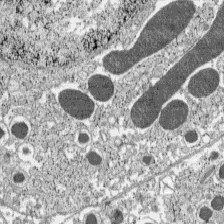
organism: C57BL Mouse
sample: Pancreatic islet